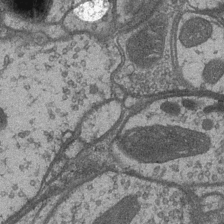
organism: Drosophila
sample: Optic medulla